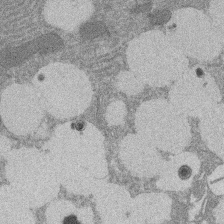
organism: Rat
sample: Salivary granule